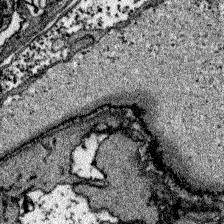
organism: Zebrafish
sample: Larval olfactory bulb